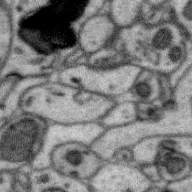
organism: Zebra finch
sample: Brain